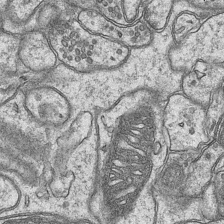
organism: Mouse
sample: CA1 Hippocampus